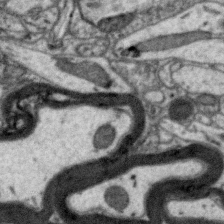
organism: Zebra finch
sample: Brain